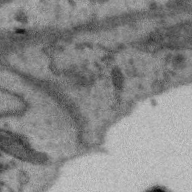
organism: Zebra finch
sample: Brain